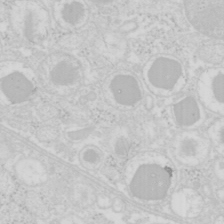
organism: Mouse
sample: Pancreas